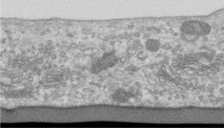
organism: Human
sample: Centriole in RPE cells